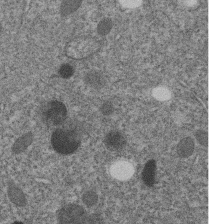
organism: C. elegans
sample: C. elegans embryo early stage